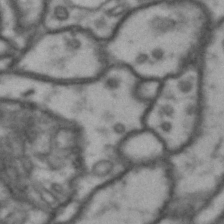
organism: Drosophila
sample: Brain